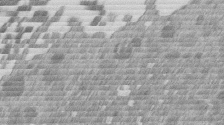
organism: Mouse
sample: Dividing mouse embryo 1 cell stage